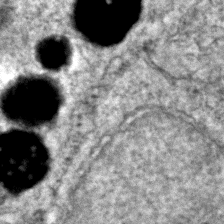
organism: Zebrafish